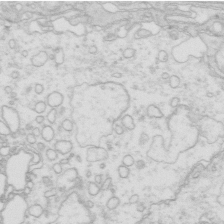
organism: Mouse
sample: Multiciliated cells